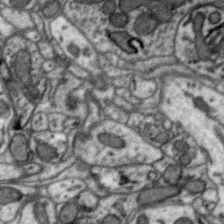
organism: Zebra finch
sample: Brain